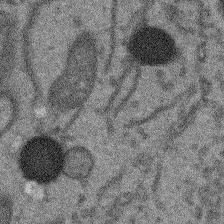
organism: Arabidopsis thaliana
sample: Root tip